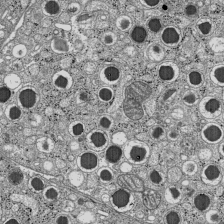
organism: C57BL Mouse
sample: Pancreatic islet